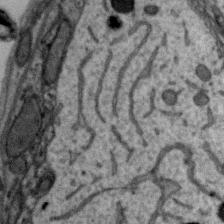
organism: Zebra finch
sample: Brain